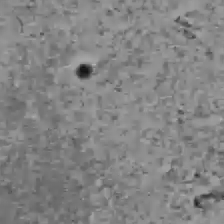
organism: C57BL Mouse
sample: Liver